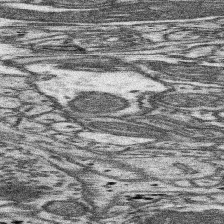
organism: Mouse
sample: Somatosensory cortex neuropil